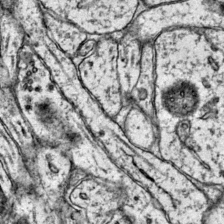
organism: Mouse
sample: Primary visual cortex